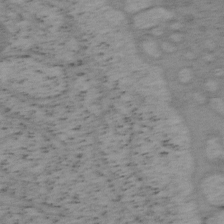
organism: Mouse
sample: OT-I killer T cells with ID8 ovarian cancer cells